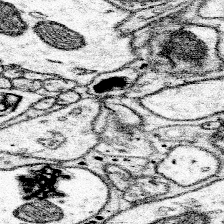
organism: Mouse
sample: Somatosensory cortex neuropil